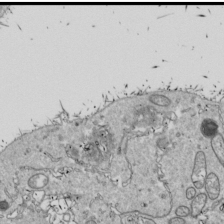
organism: Drosophila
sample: Cell division; meiosis; drosophila spermatocytes